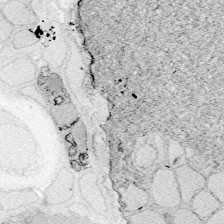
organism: Zebrafish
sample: Whole-Brain